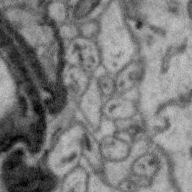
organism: Zebra finch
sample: Brain